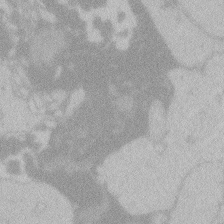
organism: Zebrafish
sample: Macrophage infected with Toxoplasma gondii